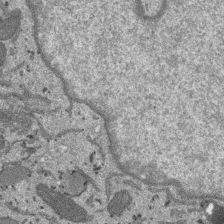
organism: Human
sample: Lung epithelial cells infected with SARS-CoV-2